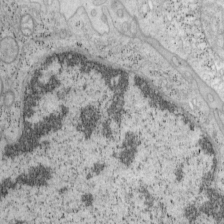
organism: Mouse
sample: OT-I killer T cells with ID8 ovarian cancer cells